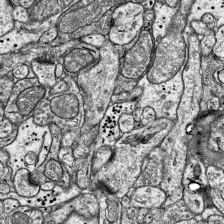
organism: Mouse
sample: Visual Cortex